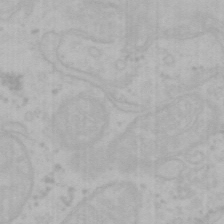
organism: Mouse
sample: Choroid plexus